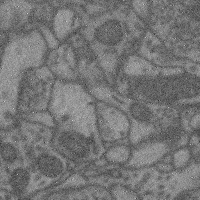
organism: Mouse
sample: Cerebral cortex